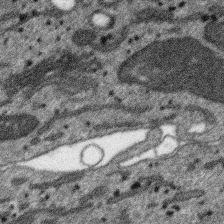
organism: Human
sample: Lung epithelial cells infected with SARS-CoV-2